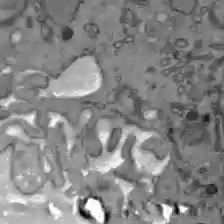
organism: C57BL Mouse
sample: Liver